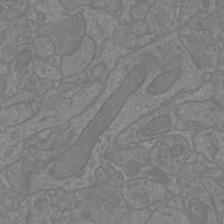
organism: Mouse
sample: Cortical neurons